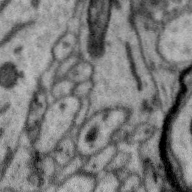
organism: Zebra finch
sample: Brain